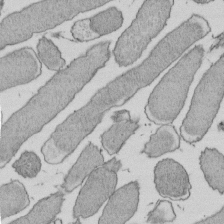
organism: E. coli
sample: Bacterial nucleoid